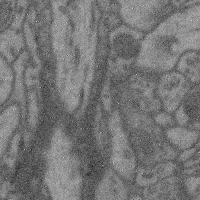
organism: Mouse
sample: Cerebral cortex